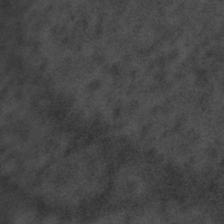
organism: Tuwongella immobilis